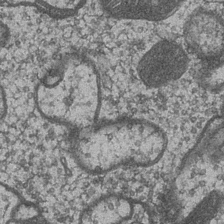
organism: Drosophila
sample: Optic medulla